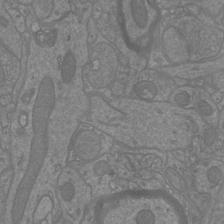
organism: Mouse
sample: Cortical neurons